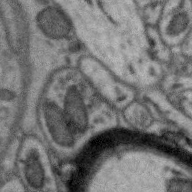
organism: Zebra finch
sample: Brain